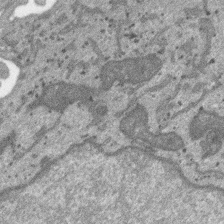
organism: Human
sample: Lung epithelial cells infected with SARS-CoV-2